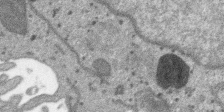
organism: Human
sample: Lung epithelial cells infected with SARS-CoV-2